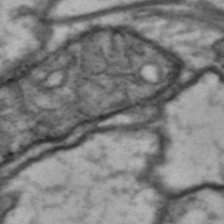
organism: Drosophila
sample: Brain